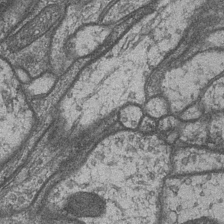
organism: Drosophila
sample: Optic medulla